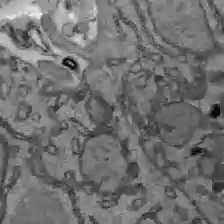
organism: C57BL Mouse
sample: Liver